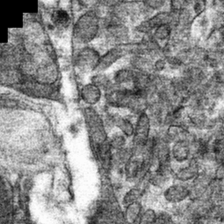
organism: Mouse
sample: Mouse hepatocytes